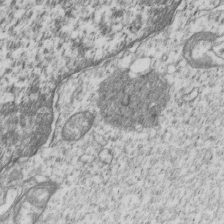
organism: Human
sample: MDA-MB-231 cells